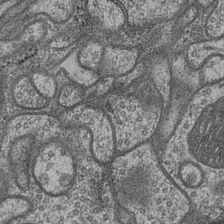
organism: Drosophila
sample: Optic medulla